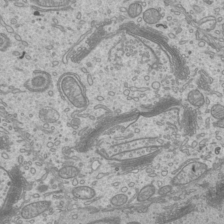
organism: Mouse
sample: Cilia; mouse epididymis